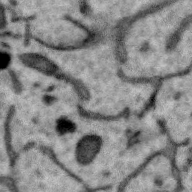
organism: Zebra finch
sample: Brain